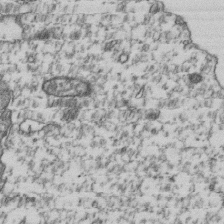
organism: Human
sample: Activated Jurkat CD4+ T cells